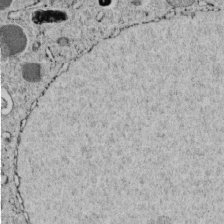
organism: C. elegans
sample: C. elegans embryo early stage